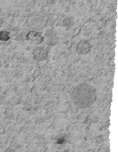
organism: C. elegans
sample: C. elegans embryo early stage